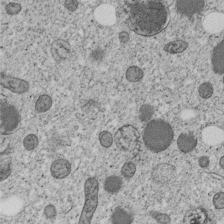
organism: C. elegans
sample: C. elegans embryo early stage